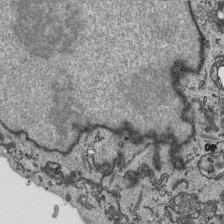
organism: Human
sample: Mitochondria in HCT116 cells